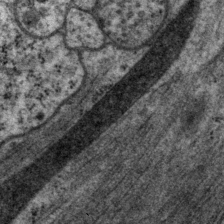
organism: P. pacificus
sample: Pharynx